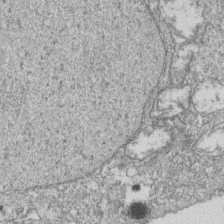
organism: Human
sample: HeLa cell HIV synapse